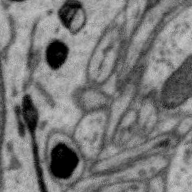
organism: Zebra finch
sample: Brain